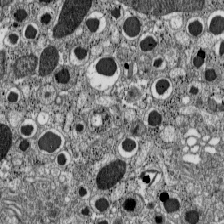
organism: C57BL Mouse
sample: Pancreatic islet